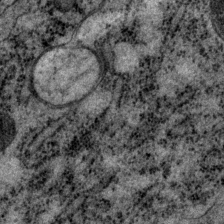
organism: P. pacificus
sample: Pharynx